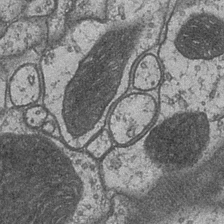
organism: Drosophila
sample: Optic medulla